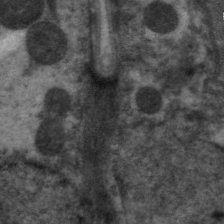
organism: C. elegans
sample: Pharynx